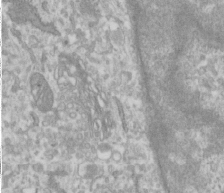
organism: Human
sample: Cilia; basal body in RPE cells